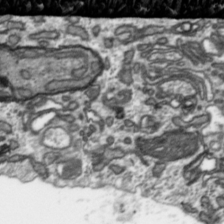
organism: Toxoplasma gondii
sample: Parasites in a vacuole inside a host cell